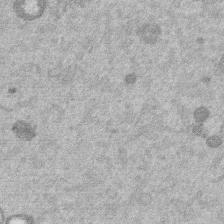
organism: Mouse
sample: Dividing mouse embryo 1 cell stage